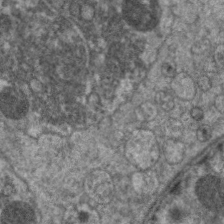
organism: C. elegans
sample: Pharynx